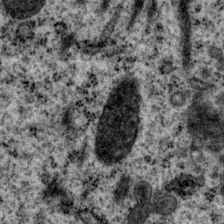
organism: P. pacificus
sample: Pharynx